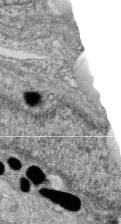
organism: Zebrafish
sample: Cilia; retinal pigment epithelium